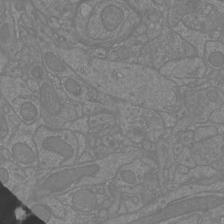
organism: Mouse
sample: Cortical neurons